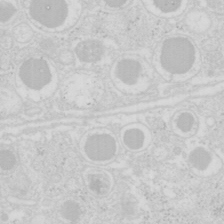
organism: Mouse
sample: Pancreas